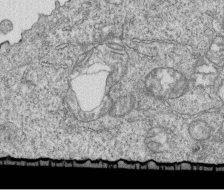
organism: Human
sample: HeLa cell HIV synapse